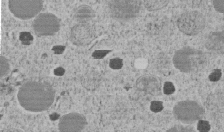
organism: C. elegans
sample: C. elegans embryo early stage